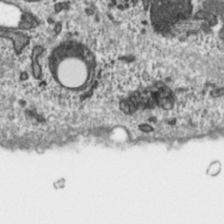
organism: Toxoplasma gondii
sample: Parasites in a vacuole inside a host cell